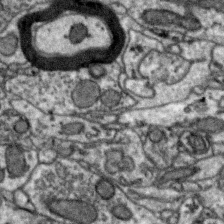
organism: Zebra finch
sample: Brain